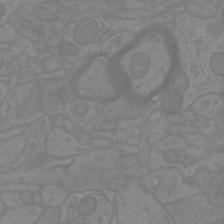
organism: Mouse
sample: Cortical neurons